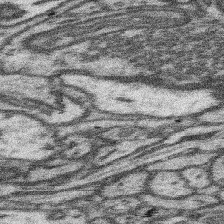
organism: Mouse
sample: Somatosensory cortex neuropil